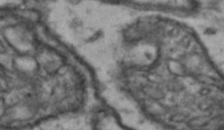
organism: Drosophila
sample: Brain